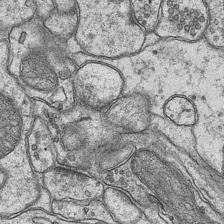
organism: Mouse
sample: CA1 Hippocampus